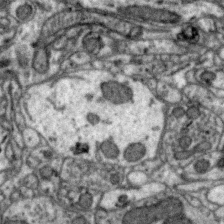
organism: Zebra finch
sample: Brain